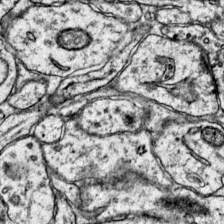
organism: Mouse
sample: Primary visual cortex